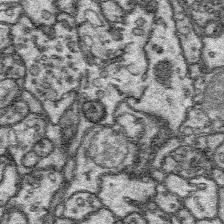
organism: Platynereis dumerilii